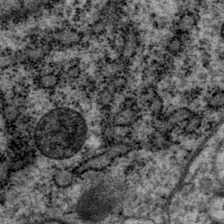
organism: P. pacificus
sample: Pharynx